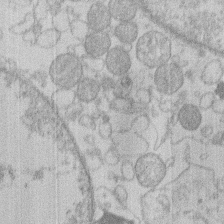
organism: Human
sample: Macrophage cells